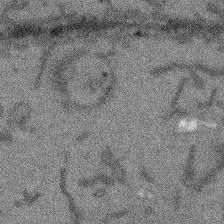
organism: Arabidopsis thaliana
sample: Root tip